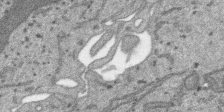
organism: Human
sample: Lung epithelial cells infected with SARS-CoV-2